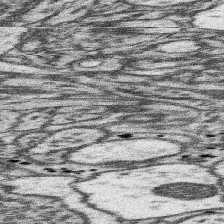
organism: Mouse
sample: Somatosensory cortex neuropil